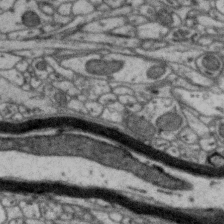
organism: Zebra finch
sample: Brain